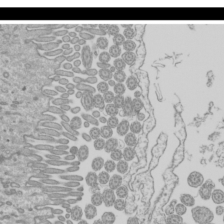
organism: Mouse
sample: Cilia; mouse epididymis